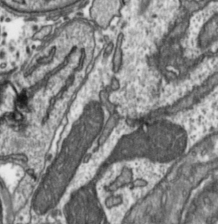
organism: Toxoplasma gondii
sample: Parasites in a vacuole inside a host cell